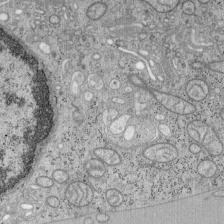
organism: Mouse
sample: OT-I killer T cells with ID8 ovarian cancer cells